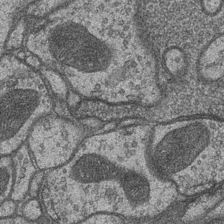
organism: Drosophila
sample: Optic medulla